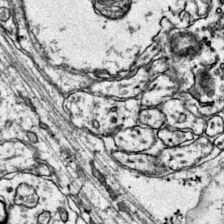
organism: Mouse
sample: Primary visual cortex